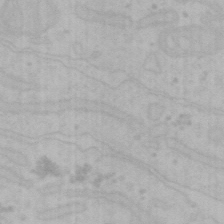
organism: Mouse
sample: Choroid plexus